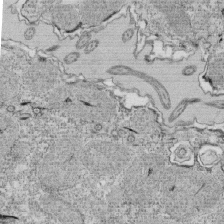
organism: Tetrahymena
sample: Cilia in tetrahymena